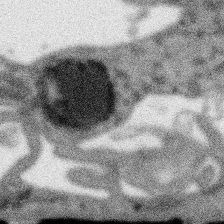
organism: Human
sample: Lung epithelial cells infected with SARS-CoV-2